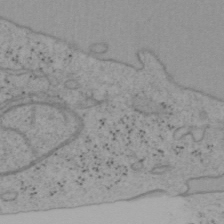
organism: Human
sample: HeLa cells